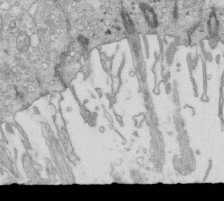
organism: Mouse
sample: Multiciliated cells